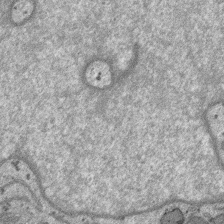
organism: Human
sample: Lung epithelial cells infected with SARS-CoV-2